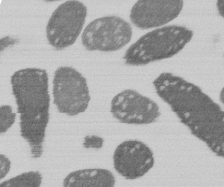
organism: E. coli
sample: Bacterial nucleoid